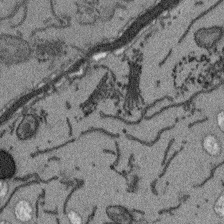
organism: Arabidopsis thaliana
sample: Root tip